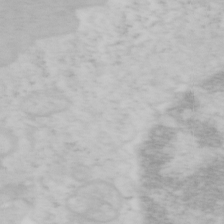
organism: Mouse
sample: OT-I killer T cells with ID8 ovarian cancer cells